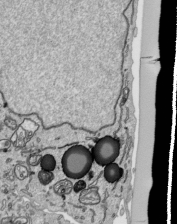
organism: Human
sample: Mitochondria in HCT116 cells